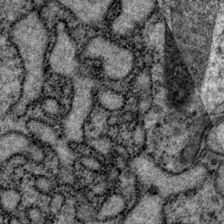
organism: P. pacificus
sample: Pharynx